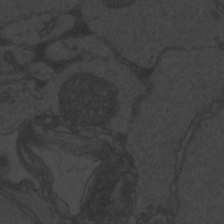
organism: Zebrafish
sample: Macrophage infected with Toxoplasma gondii